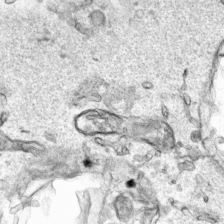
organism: Human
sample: Mitochondria in HCT116 cells